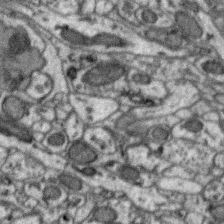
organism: Zebra finch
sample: Brain